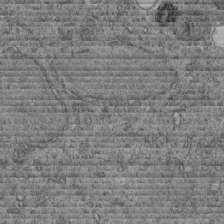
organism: C. elegans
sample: C. elegans embryo early stage